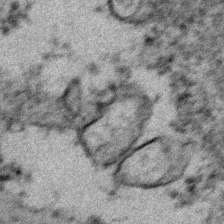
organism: Zebrafish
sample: Zebrafish embryo